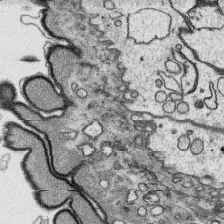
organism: Platynereis dumerilii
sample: Parapodia